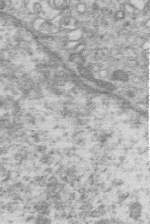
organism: Human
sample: Macrophage cells